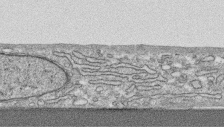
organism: Human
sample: CRL-1474